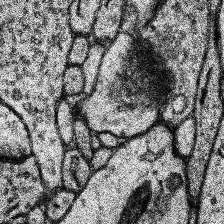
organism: Human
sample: Temporal Lobe